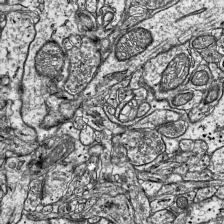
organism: Mouse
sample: Visual Cortex